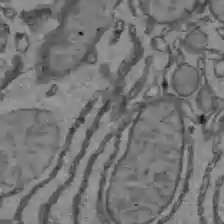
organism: C57BL Mouse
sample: Liver